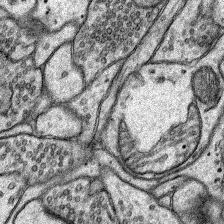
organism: Rat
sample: Hippocampus